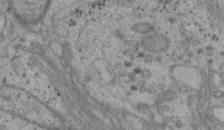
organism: Human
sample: HeLa cells